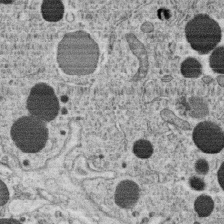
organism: C. elegans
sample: C. elegans oocyte; sperm cells